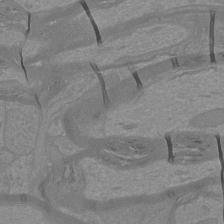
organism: Mouse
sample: Cortical neurons